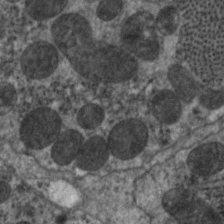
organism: C. elegans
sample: Pharynx